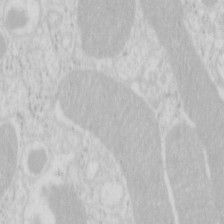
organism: Mouse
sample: Pancreas